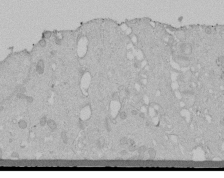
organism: Human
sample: Melanocyte Keratinocyte synapse skin construct